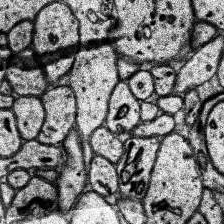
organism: Human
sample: Temporal Lobe